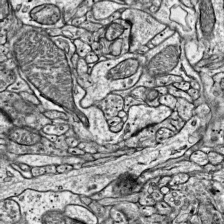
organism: Mouse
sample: Visual Cortex